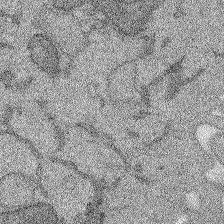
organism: Human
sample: HeLa cells